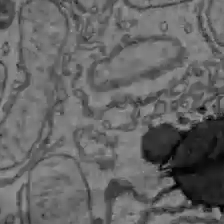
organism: C57BL Mouse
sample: Liver